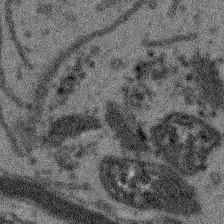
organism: Arabidopsis thaliana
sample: Root tip